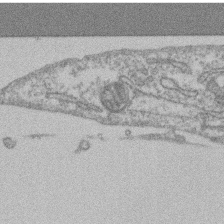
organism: Mouse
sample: T cell stromal cell synapse